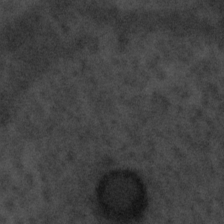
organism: Tuwongella immobilis